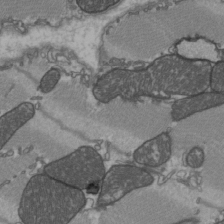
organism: C57BL Mouse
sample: Heart